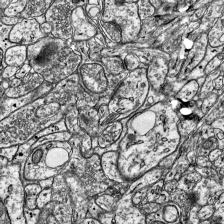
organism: Mouse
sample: Visual Cortex